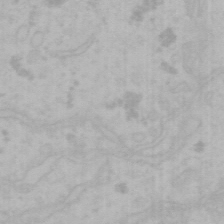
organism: Mouse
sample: Choroid plexus